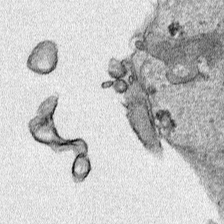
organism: Human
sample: Mitochondria in HCT116 cells